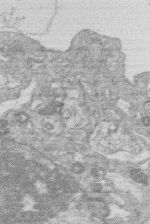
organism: Human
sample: Macrophage cells